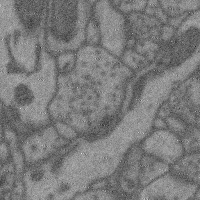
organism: Mouse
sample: Cerebral cortex